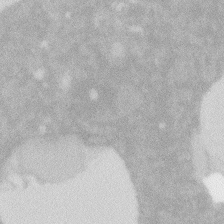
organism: Zebrafish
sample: Macrophage